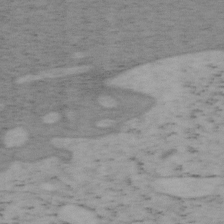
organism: Mouse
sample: OT-I killer T cells with ID8 ovarian cancer cells